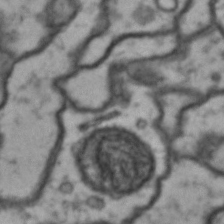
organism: Drosophila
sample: Brain